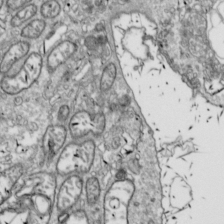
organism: Drosophila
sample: Cell division; meiosis; drosophila spermatocytes